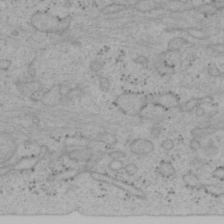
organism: Human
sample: HeLa cells